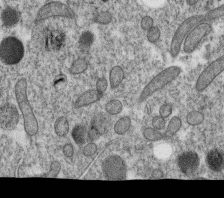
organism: C. elegans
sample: C. elegans oocyte; sperm cells